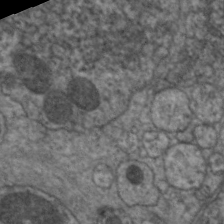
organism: C. elegans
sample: Pharynx